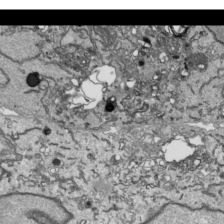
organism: Human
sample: Mitochondria in HCT116 cells